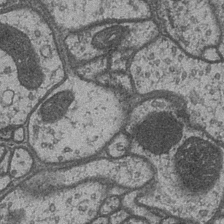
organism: Drosophila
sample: Optic medulla